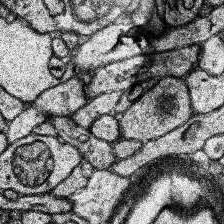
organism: Human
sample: Temporal Lobe